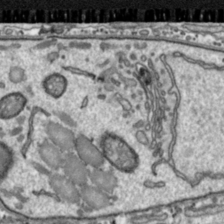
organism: Toxoplasma gondii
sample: Parasites in a vacuole inside a host cell